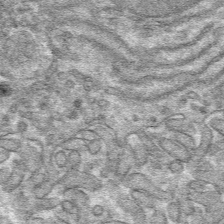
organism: Mouse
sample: Mouse hepatocytes